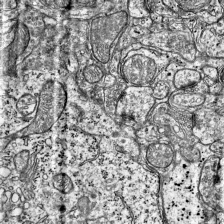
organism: Mouse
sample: Visual Cortex